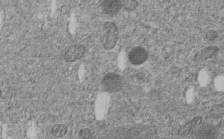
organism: C. elegans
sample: C. elegans embryo early stage